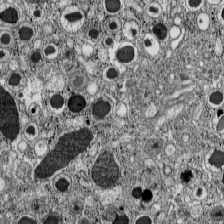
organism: C57BL Mouse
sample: Pancreatic islet